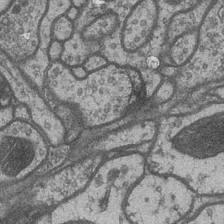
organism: Drosophila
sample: Optic medulla